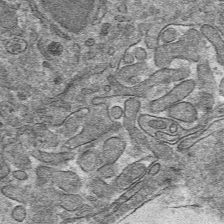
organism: Mouse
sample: Mouse hepatocytes